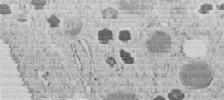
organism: C. elegans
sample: C. elegans embryo early stage